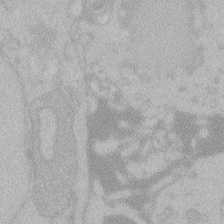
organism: Zebrafish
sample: Macrophage infected with Toxoplasma gondii